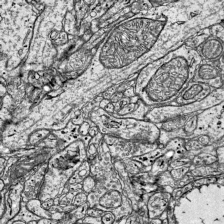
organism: Mouse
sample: Visual Cortex